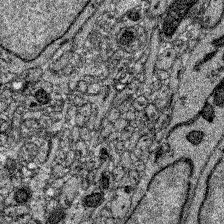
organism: Zebrafish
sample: Larval olfactory bulb